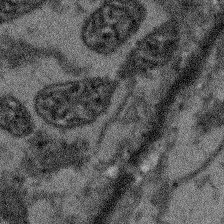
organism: Arabidopsis thaliana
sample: Root tip